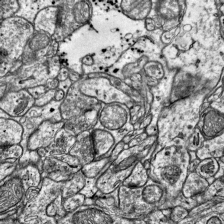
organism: Mouse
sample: Visual Cortex